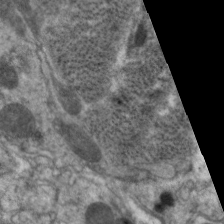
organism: C. elegans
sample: Pharynx